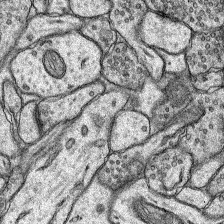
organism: Rat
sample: Hippocampus